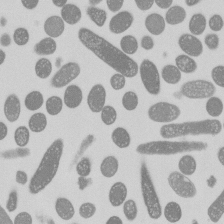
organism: E. coli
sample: Bacterial nucleoid